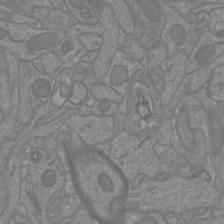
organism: Mouse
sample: Cortical neurons